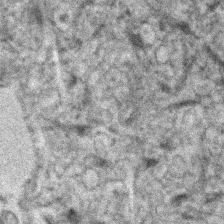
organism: Human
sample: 1205lu cells